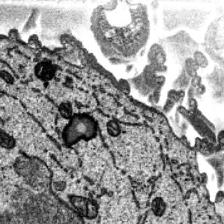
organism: Human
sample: HeLa cells